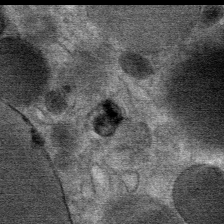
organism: Mouse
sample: Mouse Salivary gland